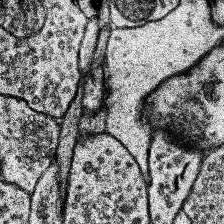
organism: Human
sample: Temporal Lobe